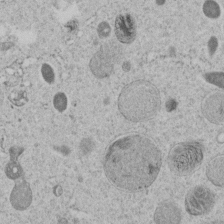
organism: C. elegans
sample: C. elegans embryo early stage